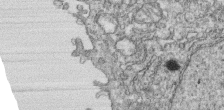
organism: Human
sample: HeLa cell HIV synapse